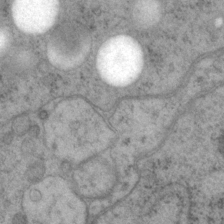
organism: P. pacificus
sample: Pharynx